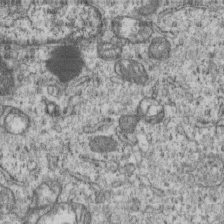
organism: Human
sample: MDA-MB-231 cells